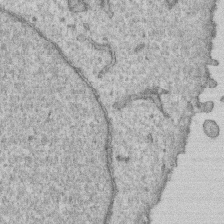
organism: Human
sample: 1205lu cells